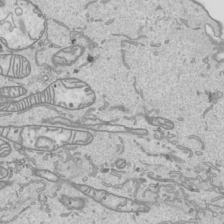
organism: Human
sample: Mitochondria in HCT116 cells